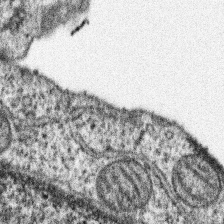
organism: Human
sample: HeLa cells